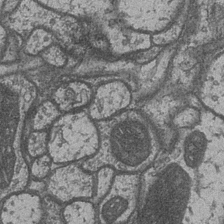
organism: Drosophila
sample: Optic medulla